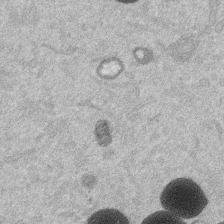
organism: Mouse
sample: Dividing mouse embryo 1 cell stage